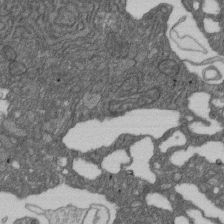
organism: Drosophila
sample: Nephrocyte